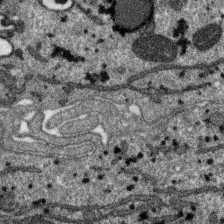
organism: Human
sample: Lung epithelial cells infected with SARS-CoV-2